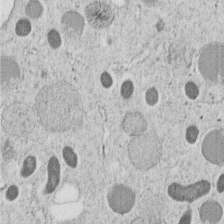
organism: C. elegans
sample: C. elegans embryo early stage